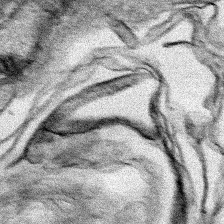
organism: Human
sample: Mitochondria in HCT116 cells